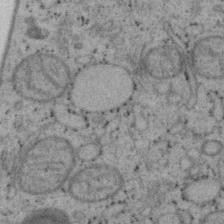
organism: Human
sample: HeLa cells